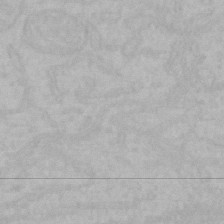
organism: Mouse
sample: Choroid plexus